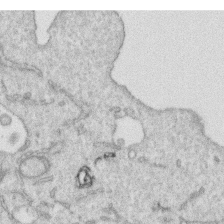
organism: Human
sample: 1205lu cells